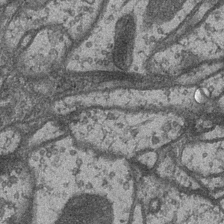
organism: Drosophila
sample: Optic medulla